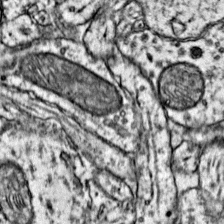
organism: Mouse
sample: Primary visual cortex